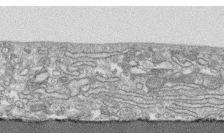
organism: Human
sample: CRL-1474